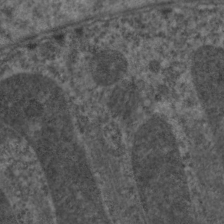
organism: C. elegans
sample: Pharynx